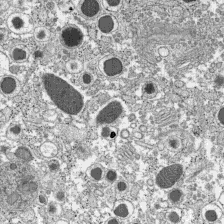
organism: C57BL Mouse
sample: Pancreatic islet